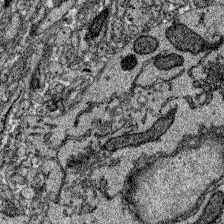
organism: Zebrafish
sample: Larval olfactory bulb